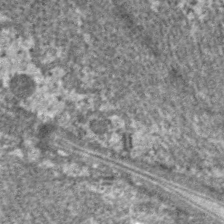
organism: C. elegans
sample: Pharynx